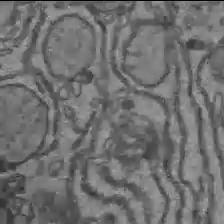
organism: C57BL Mouse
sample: Liver